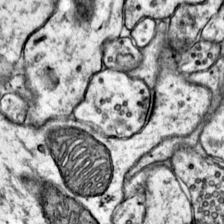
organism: Mouse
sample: Primary visual cortex